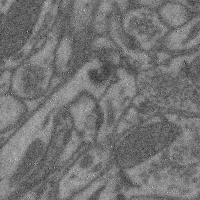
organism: Mouse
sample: Cerebral cortex